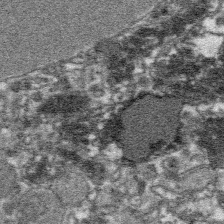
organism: Platynereis dumerilii